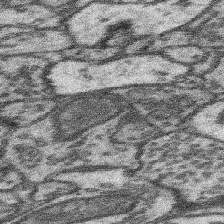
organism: Mouse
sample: Somatosensory cortex neuropil